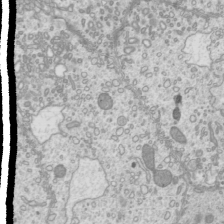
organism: Mouse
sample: Cilia; mouse epididymis